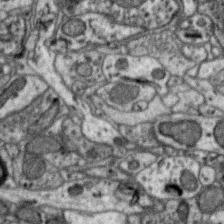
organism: Zebra finch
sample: Brain